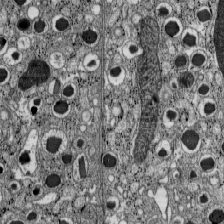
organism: C57BL Mouse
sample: Pancreatic islet